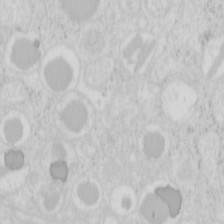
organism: Mouse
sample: Pancreas